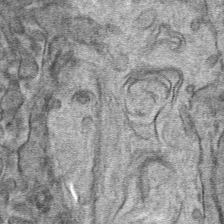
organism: Mouse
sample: Mouse hepatocytes